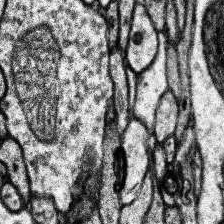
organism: Human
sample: Temporal Lobe